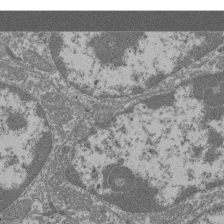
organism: Mouse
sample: Glomerulus